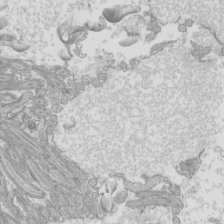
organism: Mouse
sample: Cilia; mouse epididymis